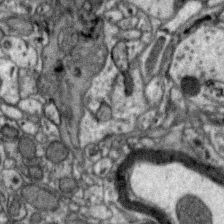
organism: Zebra finch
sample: Brain